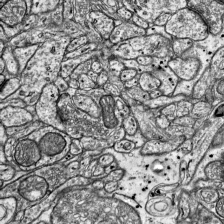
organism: Mouse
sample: Visual Cortex